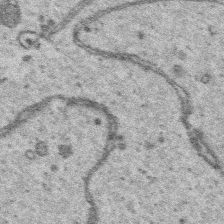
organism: Platynereis dumerilii